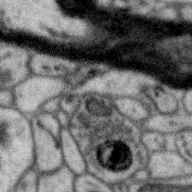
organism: Zebra finch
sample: Brain